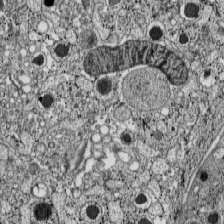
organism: C57BL Mouse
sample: Pancreatic islet